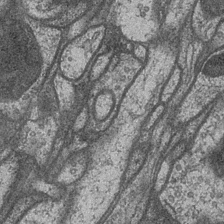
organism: Drosophila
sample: Optic medulla